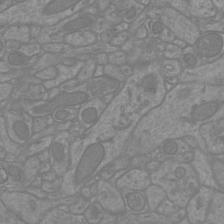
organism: Mouse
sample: Cortical neurons